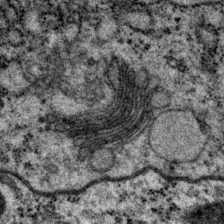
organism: P. pacificus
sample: Pharynx